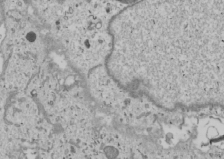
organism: Human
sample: Mitochondria in U2OS cells